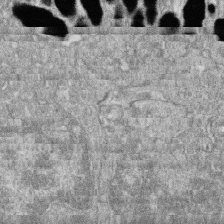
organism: Zebrafish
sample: Cilia; retinal pigment epithelium